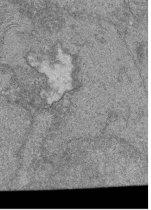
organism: Human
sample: Retinal organoid Rod and Cone cells